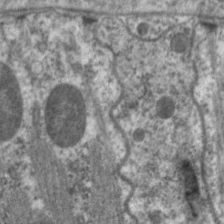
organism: C. elegans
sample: Pharynx